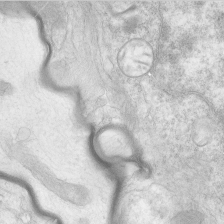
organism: Human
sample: Neocortex